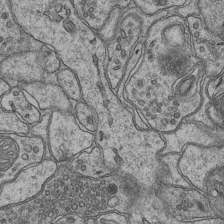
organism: Mouse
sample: CA1 Hippocampus